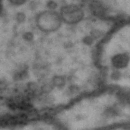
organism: Drosophila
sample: Brain